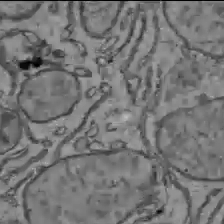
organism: C57BL Mouse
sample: Liver